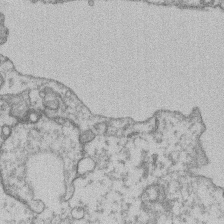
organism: Mouse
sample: T cell stromal cell synapse